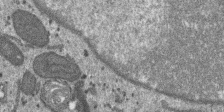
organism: Human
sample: Lung epithelial cells infected with SARS-CoV-2